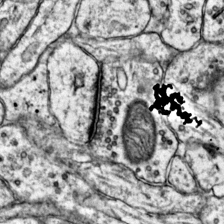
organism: Mouse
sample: Primary visual cortex